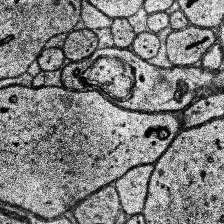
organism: Human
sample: Temporal Lobe